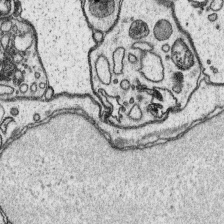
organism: Platynereis dumerilii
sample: Parapodia